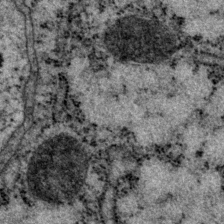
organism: P. pacificus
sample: Pharynx